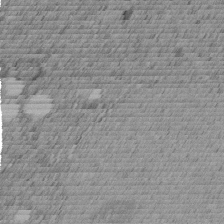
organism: C. elegans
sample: C. elegans embryo early stage